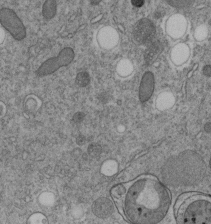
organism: C. elegans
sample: C. elegans embryo early stage